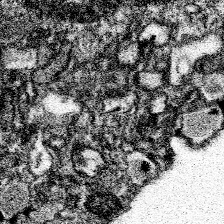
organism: Spongilla lacustris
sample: Neuroid cell